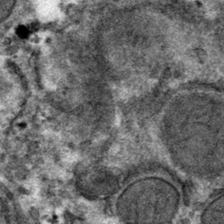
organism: Mouse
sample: Mouse hepatocytes